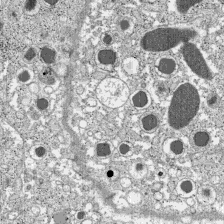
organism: C57BL Mouse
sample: Pancreatic islet